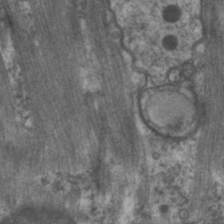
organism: C. elegans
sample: Pharynx